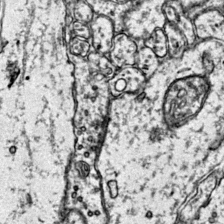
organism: Mouse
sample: Primary visual cortex